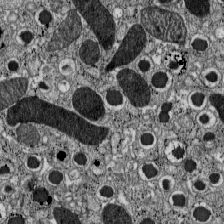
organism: C57BL Mouse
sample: Pancreatic islet